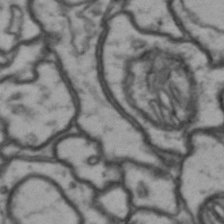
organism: Drosophila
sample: Brain